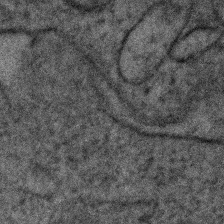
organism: Human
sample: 1205lu cells